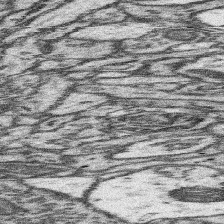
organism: Mouse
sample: Somatosensory cortex neuropil